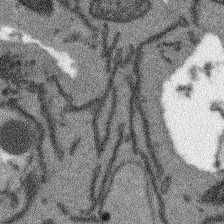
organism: Arabidopsis thaliana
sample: Root tip